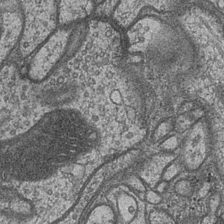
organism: Drosophila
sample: Optic medulla